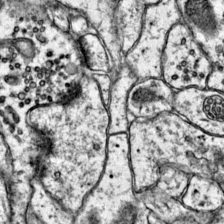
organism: Mouse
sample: Primary visual cortex